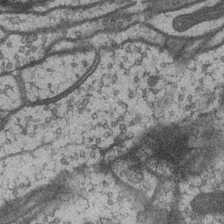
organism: Drosophila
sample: Optic medulla